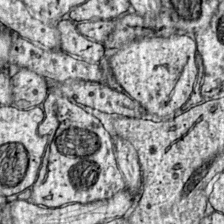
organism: Mouse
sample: Primary visual cortex